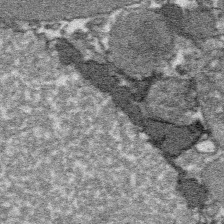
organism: Platynereis dumerilii